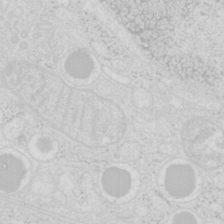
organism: Mouse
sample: Pancreas